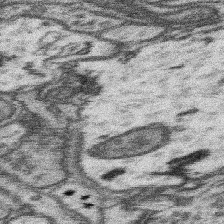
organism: Mouse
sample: Somatosensory cortex neuropil